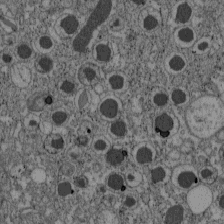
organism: C57BL Mouse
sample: Pancreatic islet